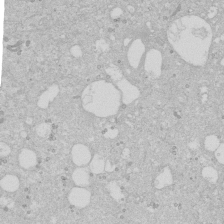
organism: Human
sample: Caco-2 cells